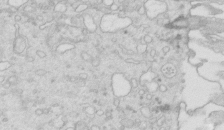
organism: Mouse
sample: Multiciliated cells